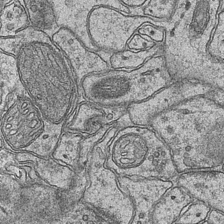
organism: Mouse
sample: CA1 Hippocampus